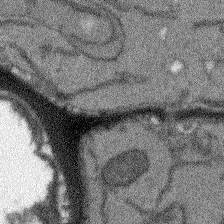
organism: Arabidopsis thaliana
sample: Root tip